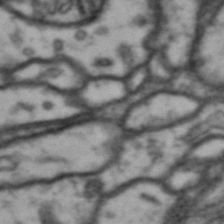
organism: Drosophila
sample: Brain